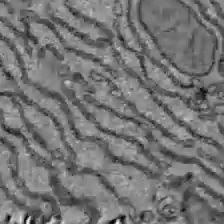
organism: C57BL Mouse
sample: Liver